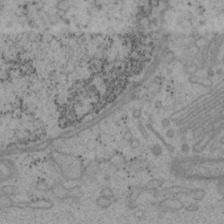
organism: Human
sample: HeLa cells